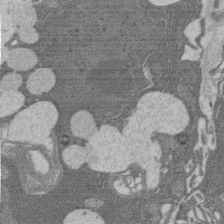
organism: Rat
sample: Salivary granule